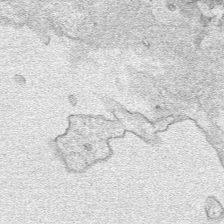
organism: Human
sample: Mitochondria in HCT116 cells